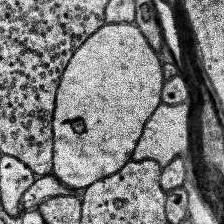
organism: Human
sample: Temporal Lobe